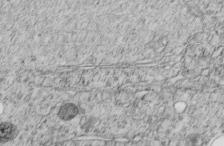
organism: C. elegans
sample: C. elegans embryo early stage